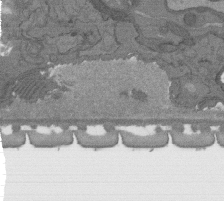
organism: C. elegans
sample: AFD neurons C. elegans